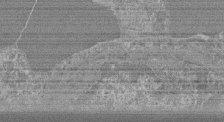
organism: Mouse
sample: Glomerulus